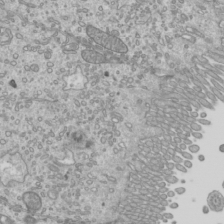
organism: Mouse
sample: Cilia; mouse epididymis